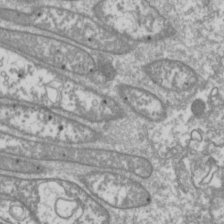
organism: Drosophila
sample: Cell division; meiosis; drosophila spermatocytes